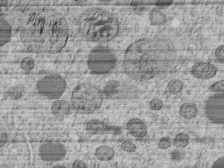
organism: C. elegans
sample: C. elegans embryo early stage